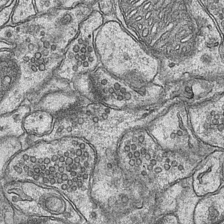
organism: Mouse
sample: CA1 Hippocampus